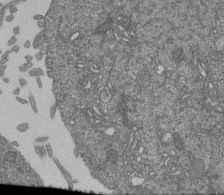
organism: Human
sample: Retinal organoid Rod and Cone cells